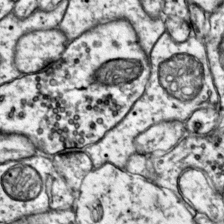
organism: Mouse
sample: Primary visual cortex